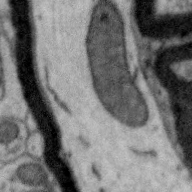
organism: Zebra finch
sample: Brain